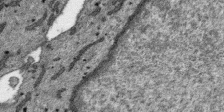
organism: Human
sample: Lung epithelial cells, uninfected (mock) control